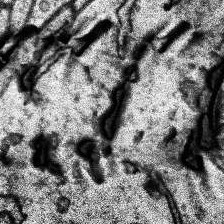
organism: Human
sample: Temporal Lobe